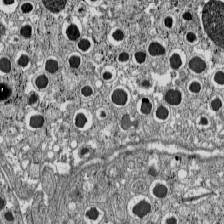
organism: C57BL Mouse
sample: Pancreatic islet